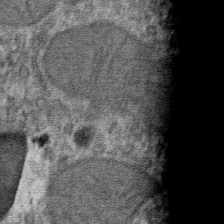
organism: Mouse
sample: Mouse hepatocytes